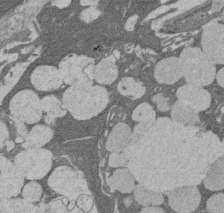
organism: Rat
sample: Salivary granule